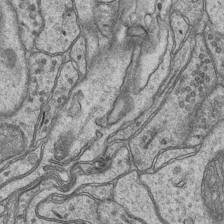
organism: Mouse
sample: CA1 Hippocampus